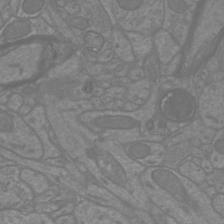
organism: Mouse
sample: Cortical neurons